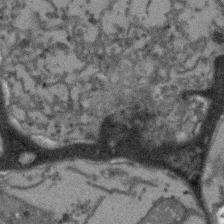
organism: Arabidopsis thaliana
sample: Root tip